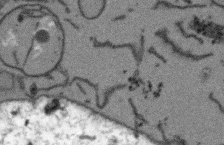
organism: Arabidopsis thaliana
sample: Root tip